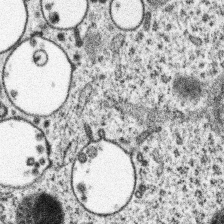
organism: Human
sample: HeLa cells